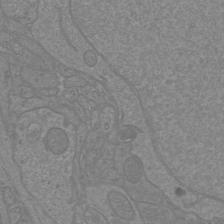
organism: Mouse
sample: Cortical neurons